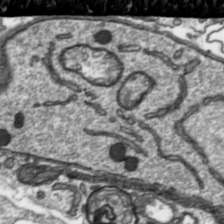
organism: Toxoplasma gondii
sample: Parasites in a vacuole inside a host cell